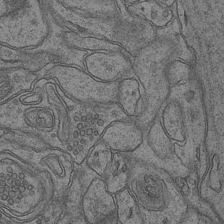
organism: Mouse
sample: CA1 Hippocampus